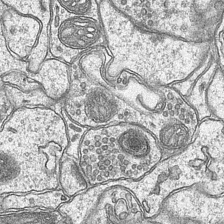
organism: Mouse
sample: CA1 Hippocampus